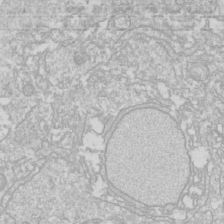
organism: Drosophila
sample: Cell division; meiosis; drosophila spermatocytes